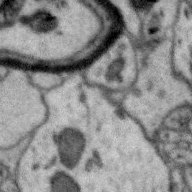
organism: Zebra finch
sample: Brain